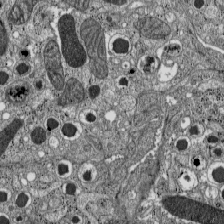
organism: C57BL Mouse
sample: Pancreatic islet